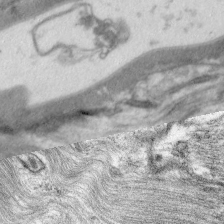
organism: C. elegans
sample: Pharynx